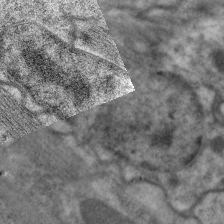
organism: C. elegans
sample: Pharynx